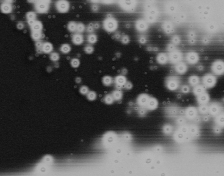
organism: Mouse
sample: Cancer cell death in ED-1 cells